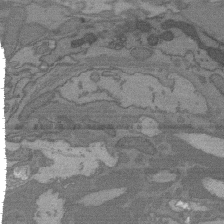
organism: C. elegans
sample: AFD neurons C. elegans